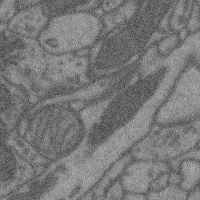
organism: Mouse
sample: Cerebral cortex